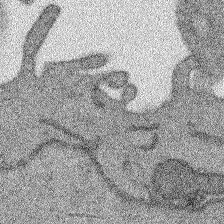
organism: Human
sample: HeLa cells